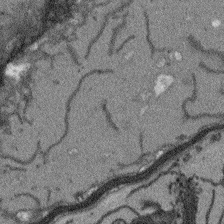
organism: Arabidopsis thaliana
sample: Root tip